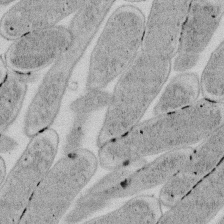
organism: E. coli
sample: Bacterial nucleoid